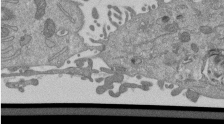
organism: Mouse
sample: ED-1 cell nuclei; centrioles